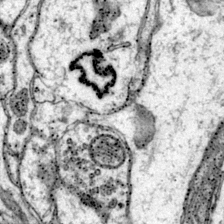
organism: Mouse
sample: Primary visual cortex